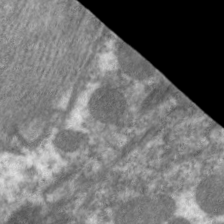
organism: C. elegans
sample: Pharynx